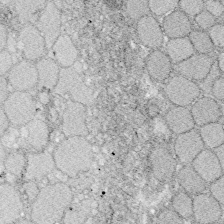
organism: Zebrafish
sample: Whole-Brain